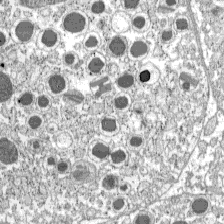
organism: C57BL Mouse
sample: Pancreatic islet